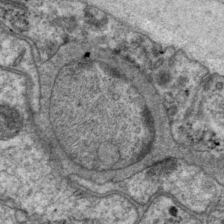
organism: P. pacificus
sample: Pharynx